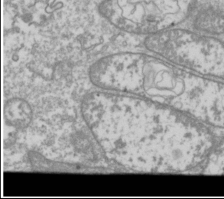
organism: Drosophila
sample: Cell division; meiosis; drosophila spermatocytes